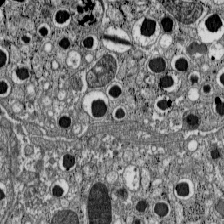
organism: C57BL Mouse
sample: Pancreatic islet